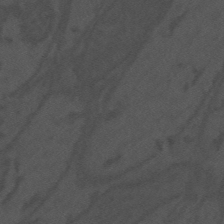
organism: Mouse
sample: Suprachiasmatic nucleus